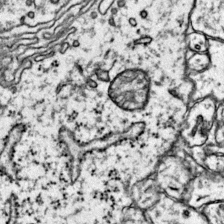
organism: Mouse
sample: Primary visual cortex